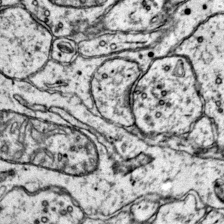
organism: Mouse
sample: Primary visual cortex